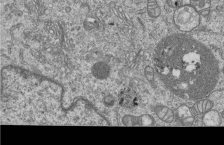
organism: Human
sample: MDA-MB-231 cells